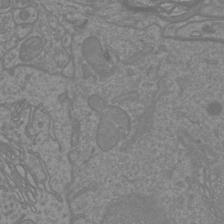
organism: Mouse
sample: Cortical neurons